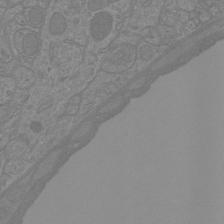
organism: Mouse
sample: Cortical neurons